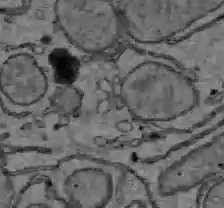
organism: C57BL Mouse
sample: Liver